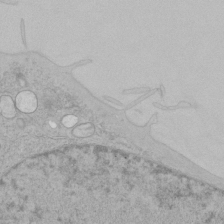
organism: Human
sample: Mitochondria in HCT116 cells